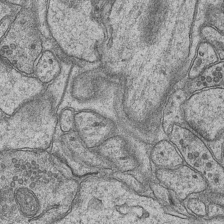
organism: Mouse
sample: CA1 Hippocampus